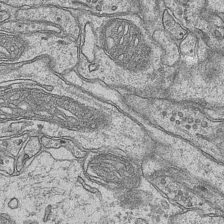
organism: Mouse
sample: CA1 Hippocampus